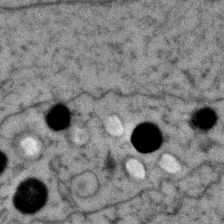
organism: Zebrafish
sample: Zebrafish embryo